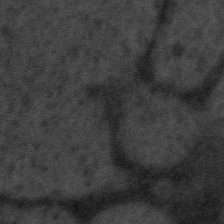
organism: Tuwongella immobilis